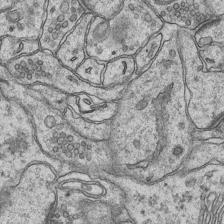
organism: Mouse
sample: CA1 Hippocampus